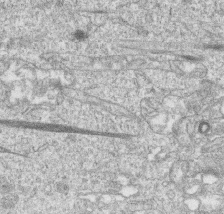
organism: Human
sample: HeLa cell HIV synapse